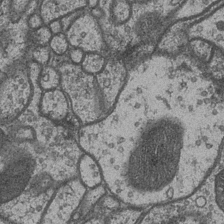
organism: Drosophila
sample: Optic medulla